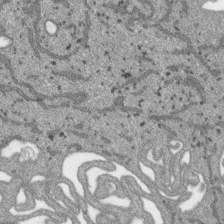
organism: Human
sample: Lung epithelial cells infected with SARS-CoV-2